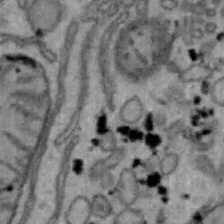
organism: Mouse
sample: Liver